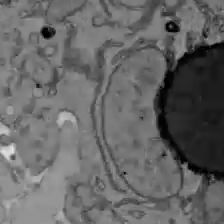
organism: C57BL Mouse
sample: Liver